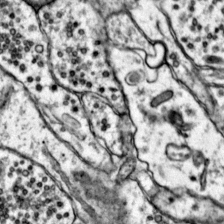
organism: Mouse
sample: Primary visual cortex